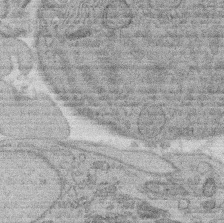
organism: Rat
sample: Salivary granule